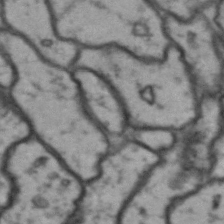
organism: Drosophila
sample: Brain